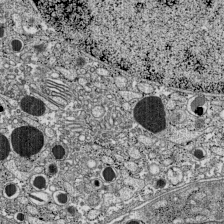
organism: C57BL Mouse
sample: Pancreatic islet